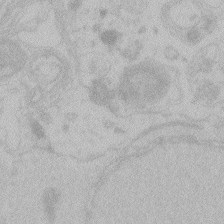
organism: Zebrafish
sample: Macrophage infected with Toxoplasma gondii